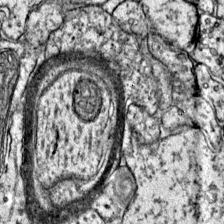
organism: Mouse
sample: Primary visual cortex